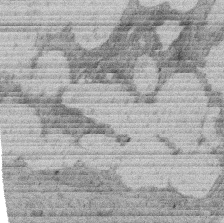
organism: Rat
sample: Salivary granule